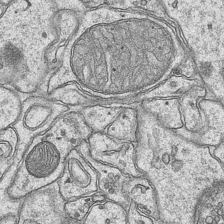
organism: Mouse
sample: CA1 Hippocampus